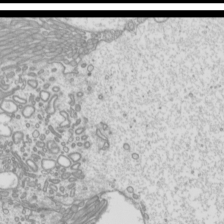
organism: Mouse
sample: Cilia; mouse epididymis